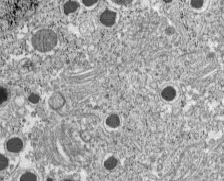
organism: C57BL Mouse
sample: Pancreatic islet